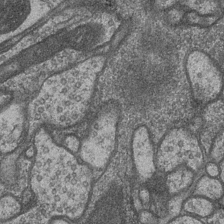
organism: Drosophila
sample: Optic medulla